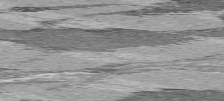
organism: C57BL Mouse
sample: Heart